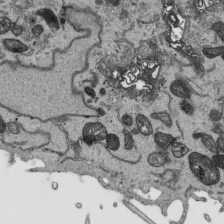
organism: Human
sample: Mitochondria in HCT116 cells